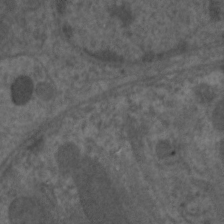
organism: C. elegans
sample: Pharynx